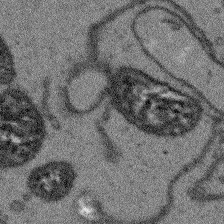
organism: Arabidopsis thaliana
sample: Root tip